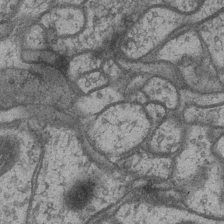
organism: Drosophila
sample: Optic medulla